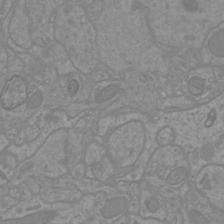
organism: Mouse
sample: Cortical neurons